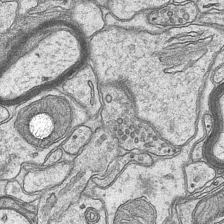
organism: Mouse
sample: CA1 Hippocampus